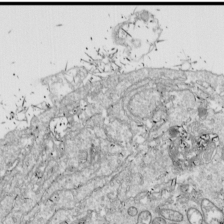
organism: Drosophila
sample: Cell division; meiosis; drosophila spermatocytes